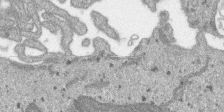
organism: Human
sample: Lung epithelial cells infected with SARS-CoV-2